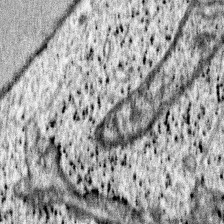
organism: Human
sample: HeLa cells